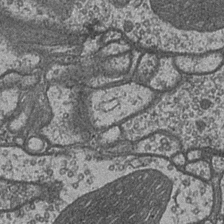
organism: Drosophila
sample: Optic medulla